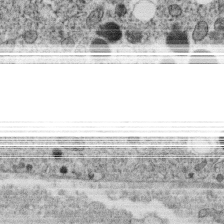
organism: C. elegans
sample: C. elegans oocyte; sperm cells